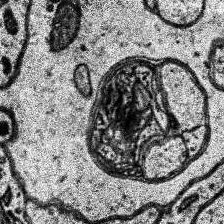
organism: Human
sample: Temporal Lobe